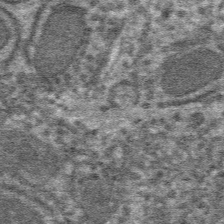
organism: Mouse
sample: Mouse hepatocytes